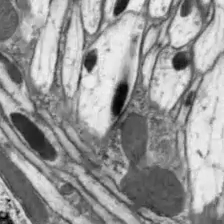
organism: Drosophila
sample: Optic lobe